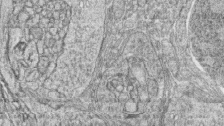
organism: Zebrafish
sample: synaptic ribbons in rod cells and cone cells